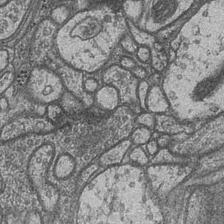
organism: Drosophila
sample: Optic medulla